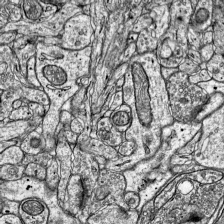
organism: Mouse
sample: Visual Cortex